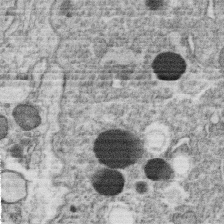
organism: C. elegans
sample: C. elegans oocyte; sperm cells